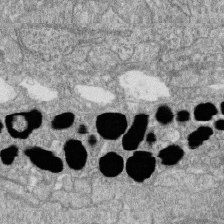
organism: Zebrafish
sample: Cilia; retinal pigment epithelium